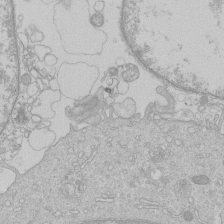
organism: Human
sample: Macrophage cells